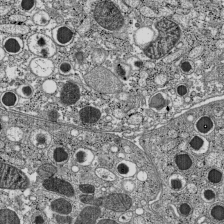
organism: C57BL Mouse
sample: Pancreatic islet